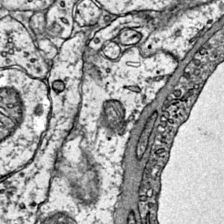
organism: Mouse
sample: Primary visual cortex